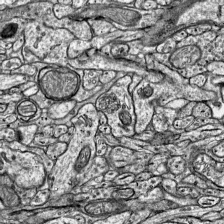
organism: Mouse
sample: Visual Cortex